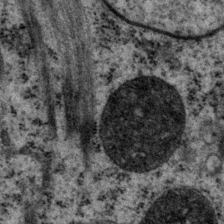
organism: P. pacificus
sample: Pharynx